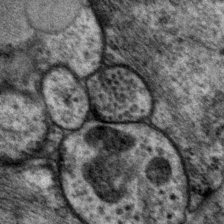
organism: P. pacificus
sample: Pharynx